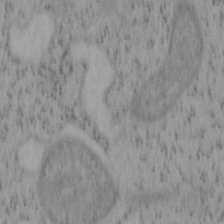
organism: Mouse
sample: OT-I killer T cells with ID8 ovarian cancer cells